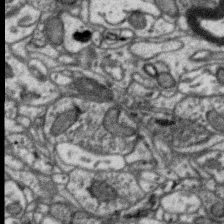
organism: Zebra finch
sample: Brain